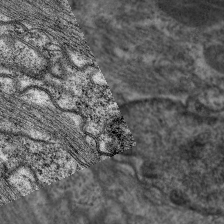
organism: C. elegans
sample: Pharynx